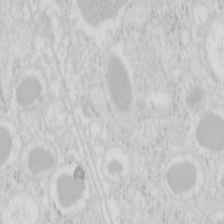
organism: Mouse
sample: Pancreas